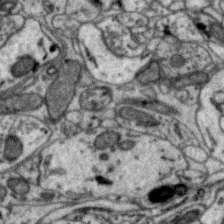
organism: Zebra finch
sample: Brain